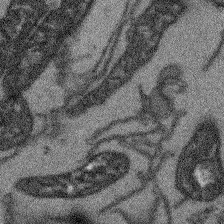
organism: Arabidopsis thaliana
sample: Root tip